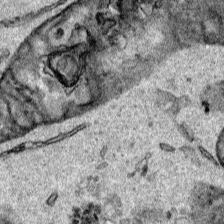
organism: Human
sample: Mitochondria in HCT116 cells